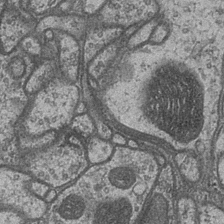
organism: Drosophila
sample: Optic medulla